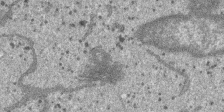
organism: Human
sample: Lung epithelial cells infected with SARS-CoV-2